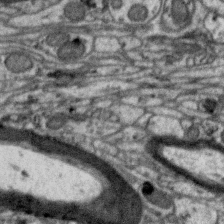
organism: Zebra finch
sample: Brain